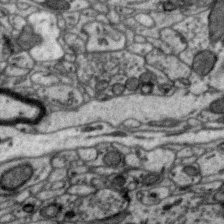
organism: Zebra finch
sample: Brain